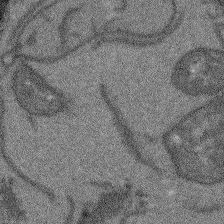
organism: Arabidopsis thaliana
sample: Root tip